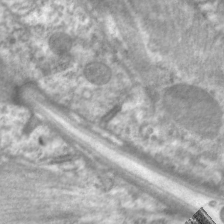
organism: C. elegans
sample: Pharynx